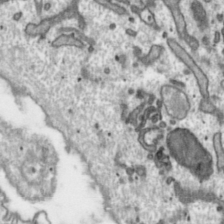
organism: Toxoplasma gondii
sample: Parasites in a vacuole inside a host cell